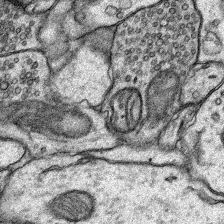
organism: Rat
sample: Hippocampus